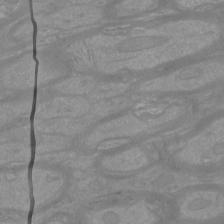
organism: Mouse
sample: Cortical neurons